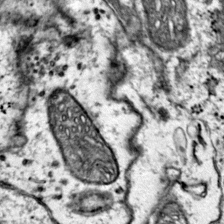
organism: Mouse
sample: Primary visual cortex